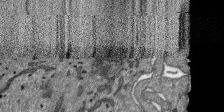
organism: Human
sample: Lung epithelial cells, uninfected (mock) control